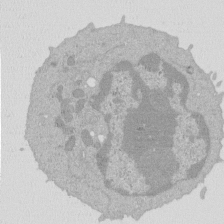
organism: Mouse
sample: Activated Pmel transgenic CD8+ T Cells